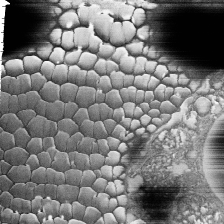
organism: Tetrahymena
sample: Cilia in tetrahymena